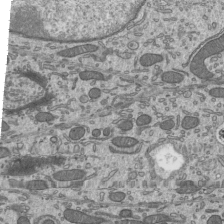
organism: Mouse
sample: Mouse epididymis efferent ductule cilia